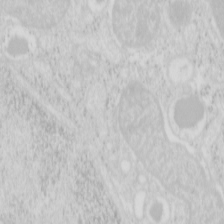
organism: Mouse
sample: Pancreas